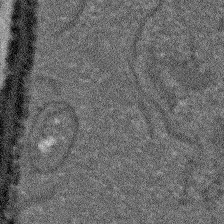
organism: Arabidopsis thaliana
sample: Root tip